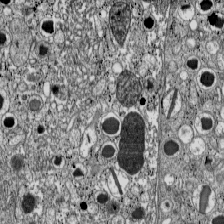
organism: C57BL Mouse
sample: Pancreatic islet